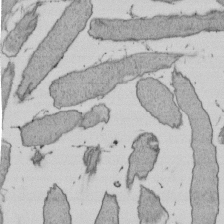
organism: E. coli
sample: Bacterial nucleoid